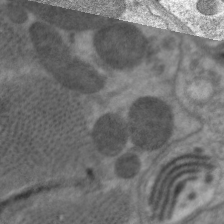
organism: C. elegans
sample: Pharynx